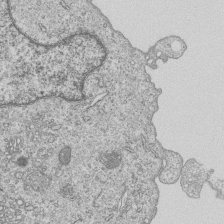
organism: Human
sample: MDA-MB-231 cells